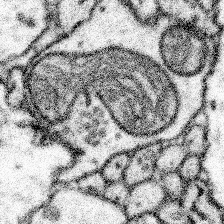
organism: Mouse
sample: Somatosensory cortex neuropil